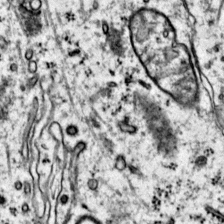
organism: Mouse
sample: Primary visual cortex